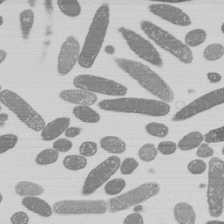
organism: E. coli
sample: Bacterial nucleoid